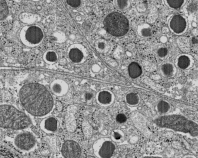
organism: C57BL Mouse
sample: Pancreatic islet